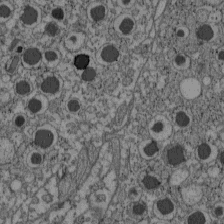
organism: C57BL Mouse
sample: Pancreatic islet